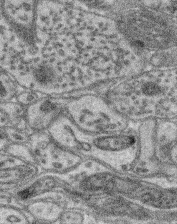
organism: Mouse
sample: Retina